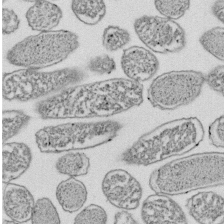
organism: E. coli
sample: Bacterial nucleoid